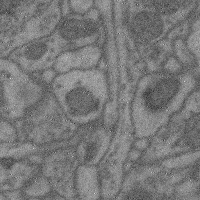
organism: Mouse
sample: Cerebral cortex